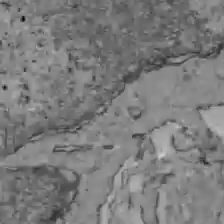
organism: C57BL Mouse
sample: Liver